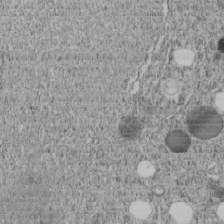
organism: C. elegans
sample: C. elegans embryo early stage